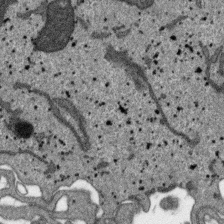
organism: Human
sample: Lung epithelial cells, uninfected (mock) control